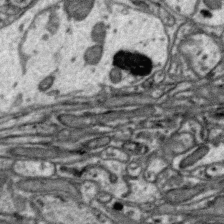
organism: Zebra finch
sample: Brain